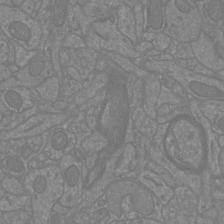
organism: Mouse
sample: Cortical neurons